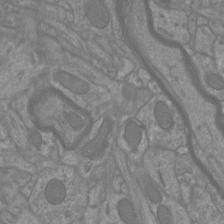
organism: Mouse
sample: Cortical neurons